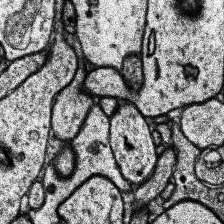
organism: Human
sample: Temporal Lobe